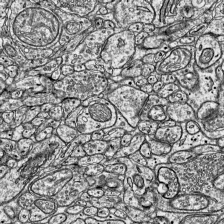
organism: Mouse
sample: Visual Cortex